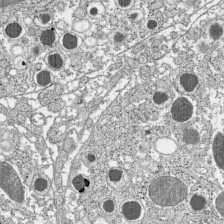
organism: C57BL Mouse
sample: Pancreatic islet